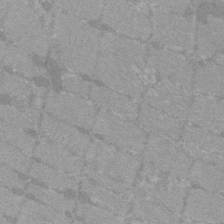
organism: C57BL Mouse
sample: Tibialis anterior muscle cell